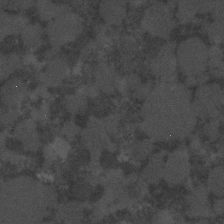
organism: C. elegans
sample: C. elegans embryo